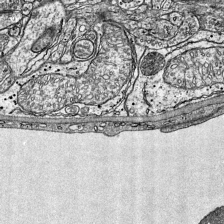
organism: Mouse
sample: Visual Cortex